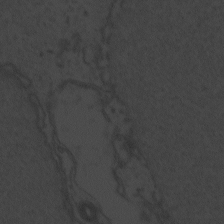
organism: Zebrafish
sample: Macrophage infected with Toxoplasma gondii